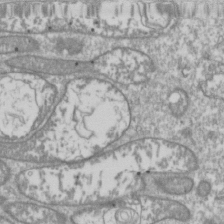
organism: Drosophila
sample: Cell division; meiosis; drosophila spermatocytes